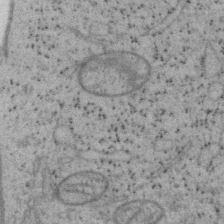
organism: Human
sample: HeLa cells